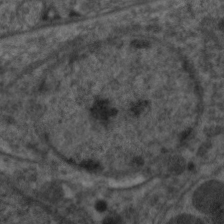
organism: C. elegans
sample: Pharynx